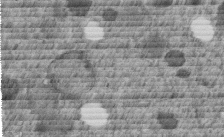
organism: C. elegans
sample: C. elegans embryo early stage